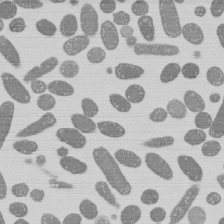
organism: E. coli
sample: Bacterial nucleoid